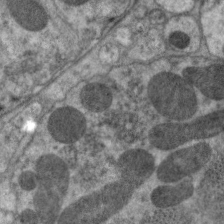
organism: C. elegans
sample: Pharynx